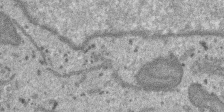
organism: Human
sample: Lung epithelial cells infected with SARS-CoV-2